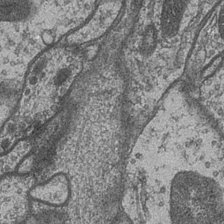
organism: Drosophila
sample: Optic medulla